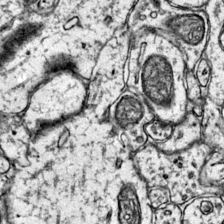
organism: Mouse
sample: Primary visual cortex